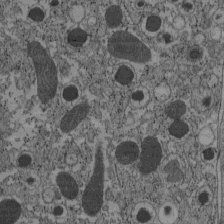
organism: C57BL Mouse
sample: Pancreatic islet